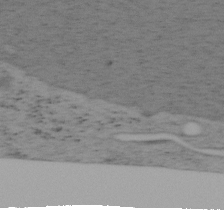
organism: Mouse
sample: OT-I killer T cells with ID8 ovarian cancer cells